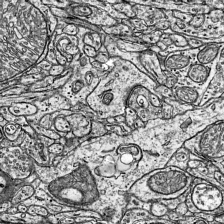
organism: Mouse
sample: Visual Cortex